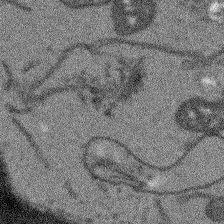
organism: Arabidopsis thaliana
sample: Root tip